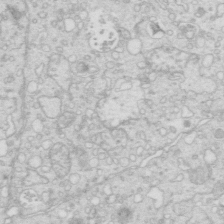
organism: Mouse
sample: Multiciliated cells